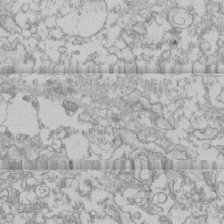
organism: Human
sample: CRL-1474